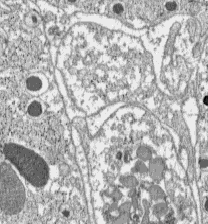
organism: C57BL Mouse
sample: Pancreatic islet